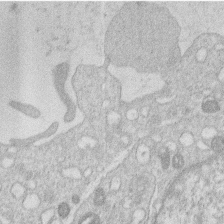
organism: Human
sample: Macrophage cells